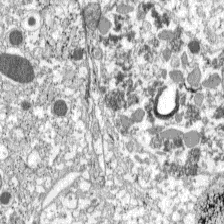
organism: C57BL Mouse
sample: Pancreatic islet